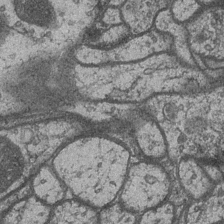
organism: Drosophila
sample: Optic medulla